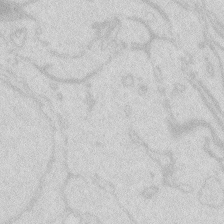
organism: Zebrafish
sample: Macrophage